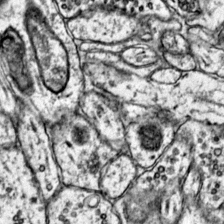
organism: Mouse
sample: Primary visual cortex